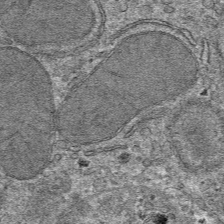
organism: Mouse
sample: Mouse hepatocytes